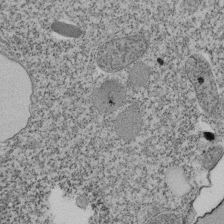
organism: Tetrahymena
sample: Cilia in tetrahymena